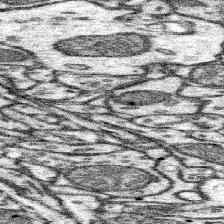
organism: Mouse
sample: Somatosensory cortex neuropil